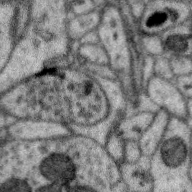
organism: Zebra finch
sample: Brain